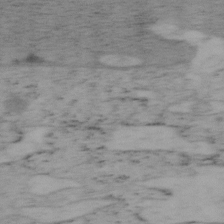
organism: Mouse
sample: OT-I killer T cells with ID8 ovarian cancer cells